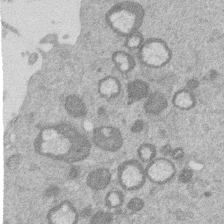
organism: Mouse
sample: Dividing mouse embryo 1 cell stage